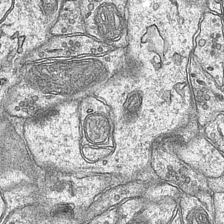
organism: Mouse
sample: CA1 Hippocampus